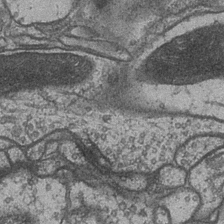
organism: Drosophila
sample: Optic medulla